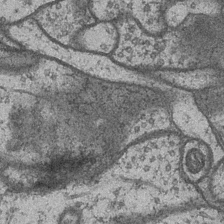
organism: Drosophila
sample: Optic medulla